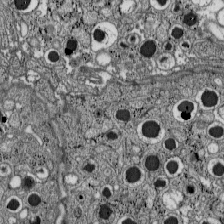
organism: C57BL Mouse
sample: Pancreatic islet